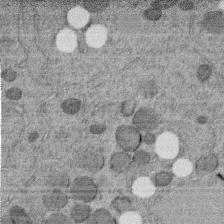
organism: C. elegans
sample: C. elegans embryo early stage